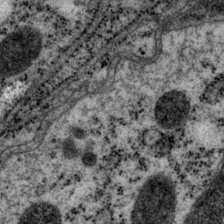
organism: P. pacificus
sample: Pharynx